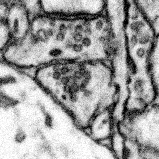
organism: Mouse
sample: Somatosensory cortex neuropil